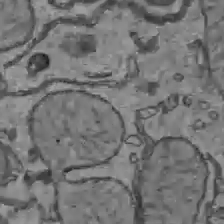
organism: C57BL Mouse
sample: Liver